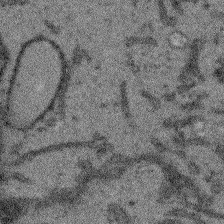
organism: Arabidopsis thaliana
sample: Root tip